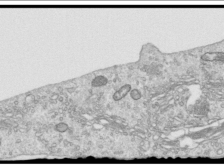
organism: Human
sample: Centriole in RPE cells